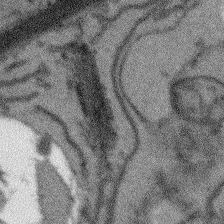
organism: Arabidopsis thaliana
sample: Root tip